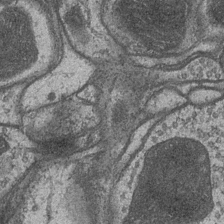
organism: Drosophila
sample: Optic medulla